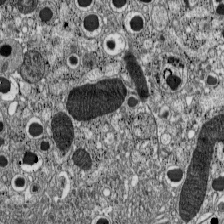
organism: C57BL Mouse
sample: Pancreatic islet